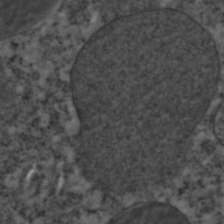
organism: C. elegans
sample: C. elegans embryo